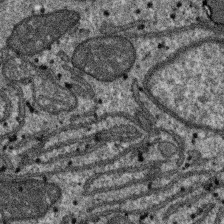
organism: Human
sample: Lung epithelial cells infected with SARS-CoV-2